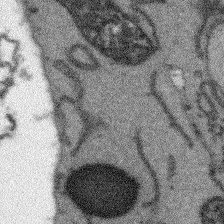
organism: Arabidopsis thaliana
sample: Root tip